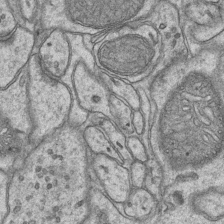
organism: Mouse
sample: CA1 Hippocampus